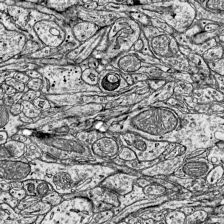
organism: Mouse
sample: Visual Cortex